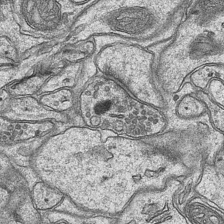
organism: Mouse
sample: CA1 Hippocampus